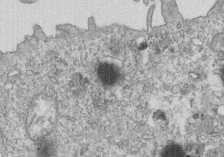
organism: Human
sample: HeLa cell HIV synapse